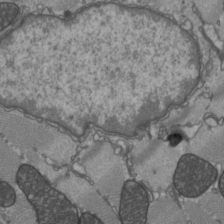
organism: C57BL Mouse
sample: Heart